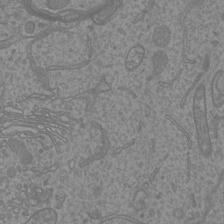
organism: Mouse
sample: Cortical neurons